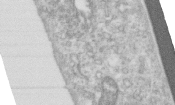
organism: Human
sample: Centriole in RPE cells